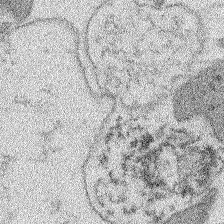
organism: Human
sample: HeLa cells